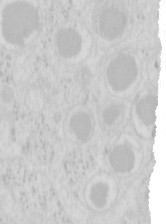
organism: Mouse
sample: Pancreas